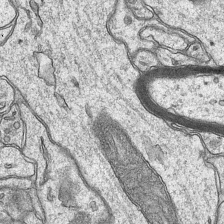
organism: Mouse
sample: CA1 Hippocampus